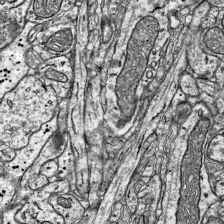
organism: Mouse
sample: Visual Cortex